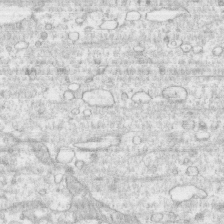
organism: Human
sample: CRL-1474